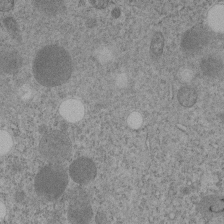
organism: C. elegans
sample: C. elegans embryo early stage